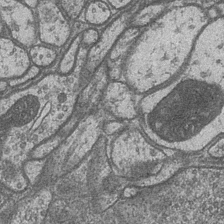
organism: Drosophila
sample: Optic medulla